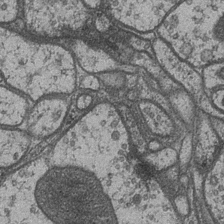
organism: Drosophila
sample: Optic medulla